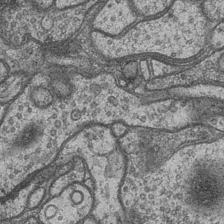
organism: Drosophila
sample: Optic medulla